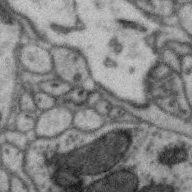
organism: Zebra finch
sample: Brain